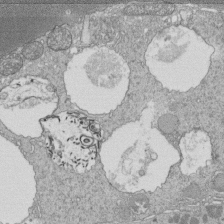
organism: Tetrahymena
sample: Cilia in tetrahymena